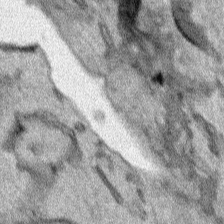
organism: Human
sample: Mitochondria in HCT116 cells